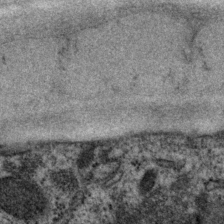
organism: P. pacificus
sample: Pharynx